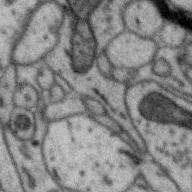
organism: Zebra finch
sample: Brain